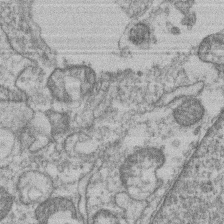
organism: Mouse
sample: T cell stromal cell synapse